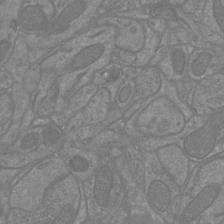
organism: Mouse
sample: Cortical neurons